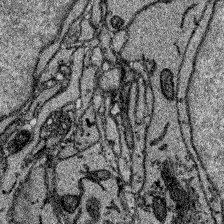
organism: Zebrafish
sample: Larval olfactory bulb